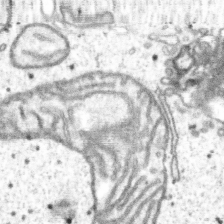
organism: Human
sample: HeLa cells